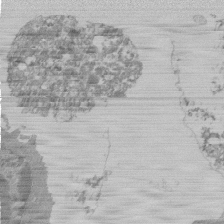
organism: Mouse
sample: Activated Pmel transgenic CD8+ T Cells